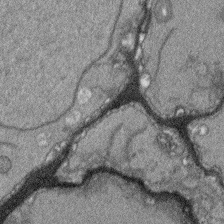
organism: Arabidopsis thaliana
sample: Root tip